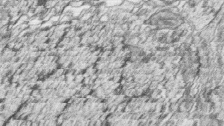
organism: Zebrafish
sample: synaptic ribbons in rod cells and cone cells